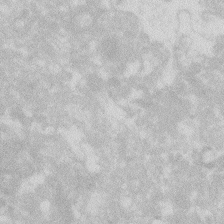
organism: Zebrafish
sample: Macrophage